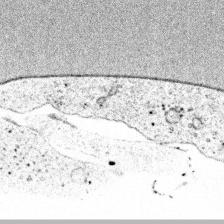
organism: Human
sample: HeLa cells